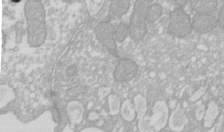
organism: Xenopus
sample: Cilia; centrioles in frog embryo cells